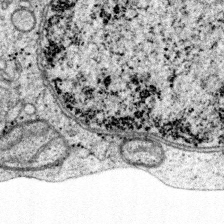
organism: Human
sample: HeLa cells